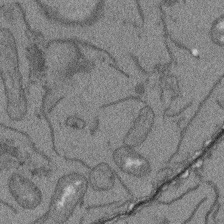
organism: Arabidopsis thaliana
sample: Root tip